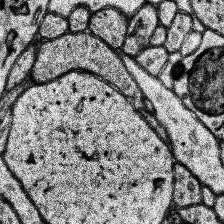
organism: Human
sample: Temporal Lobe